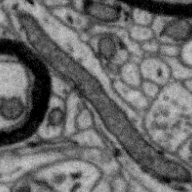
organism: Zebra finch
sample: Brain